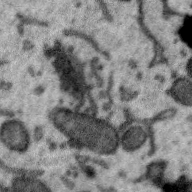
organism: Zebra finch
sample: Brain